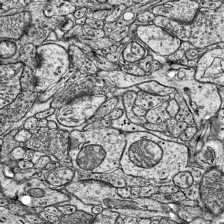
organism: Mouse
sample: Visual Cortex